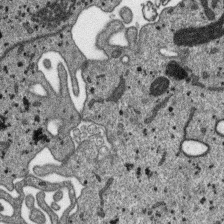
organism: Human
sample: Lung epithelial cells infected with SARS-CoV-2